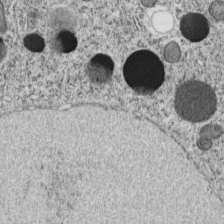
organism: C. elegans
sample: C. elegans embryo early stage